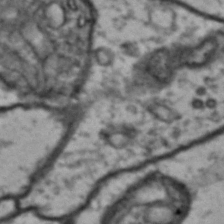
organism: Drosophila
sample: Brain